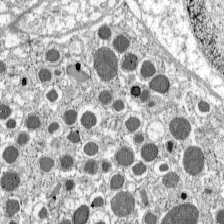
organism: C57BL Mouse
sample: Pancreatic islet